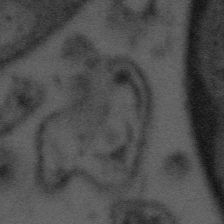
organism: Tuwongella immobilis